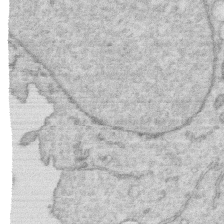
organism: Human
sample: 1205lu cells